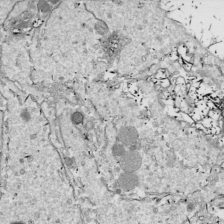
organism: Drosophila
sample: Cell division; meiosis; drosophila spermatocytes